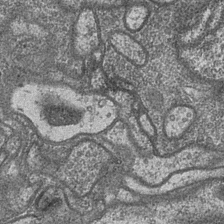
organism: Drosophila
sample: Optic medulla